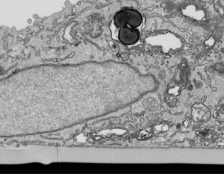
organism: Human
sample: Mitochondria in HCT116 cells